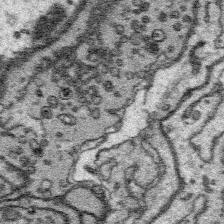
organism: Platynereis dumerilii